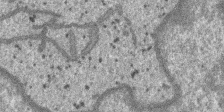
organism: Human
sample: Lung epithelial cells infected with SARS-CoV-2